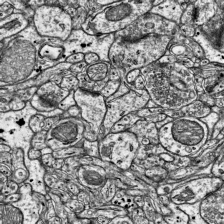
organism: Mouse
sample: Visual Cortex